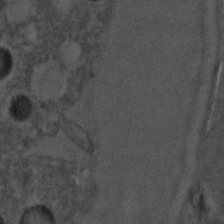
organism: C. elegans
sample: C. elegans embryo